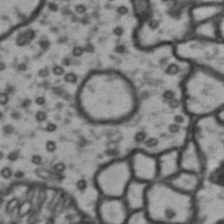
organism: Drosophila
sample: Brain